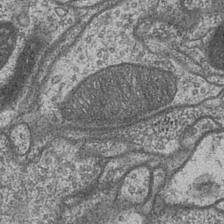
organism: Drosophila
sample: Optic medulla